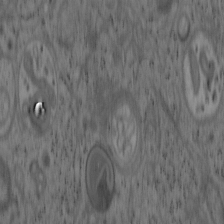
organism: Human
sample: HeLa cells